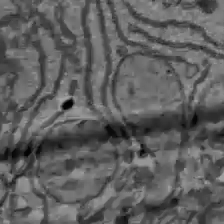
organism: C57BL Mouse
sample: Liver